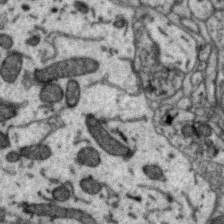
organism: Zebra finch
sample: Brain